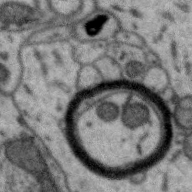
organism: Zebra finch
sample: Brain